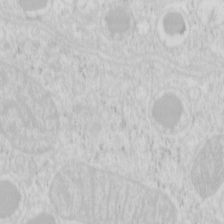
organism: Mouse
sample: Pancreas